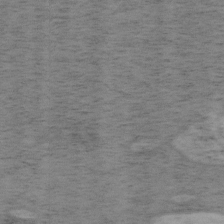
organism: Mouse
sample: OT-I killer T cells with ID8 ovarian cancer cells